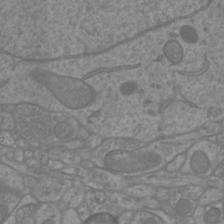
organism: Mouse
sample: Cortical neurons